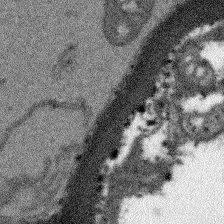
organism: Arabidopsis thaliana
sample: Root tip